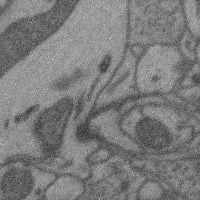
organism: Mouse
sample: Cerebral cortex